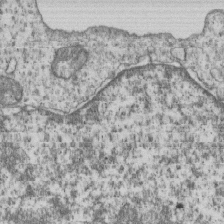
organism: Human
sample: MDA-MB-231 cells